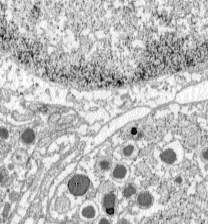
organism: C57BL Mouse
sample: Pancreatic islet